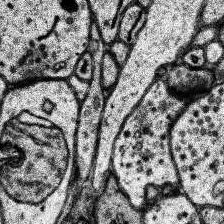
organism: Human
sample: Temporal Lobe